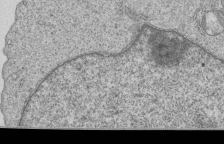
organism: Human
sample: MDA-MB-231 cells